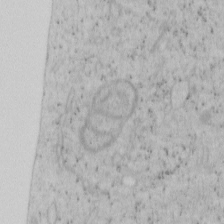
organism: Human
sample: HeLa cells